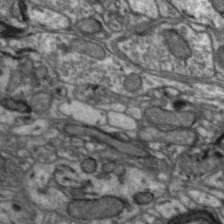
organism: Zebra finch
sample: Brain